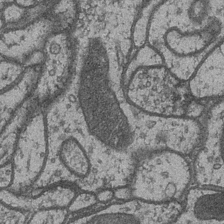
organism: Drosophila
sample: Optic medulla